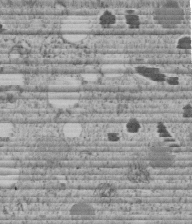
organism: C. elegans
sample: C. elegans embryo early stage